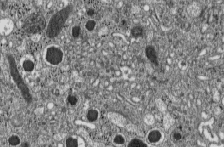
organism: C57BL Mouse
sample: Pancreatic islet